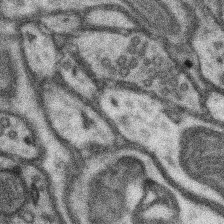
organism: Mouse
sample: Somatosensory cortex neuropil